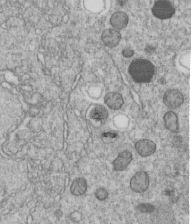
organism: C. elegans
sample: C. elegans embryo early stage